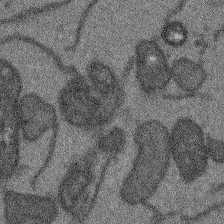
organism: Arabidopsis thaliana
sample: Root tip